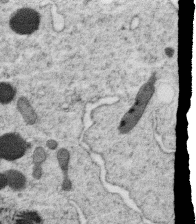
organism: C. elegans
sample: C. elegans oocyte; sperm cells